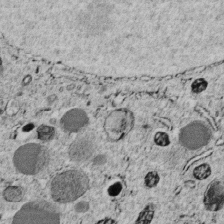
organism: C. elegans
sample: C. elegans embryo early stage